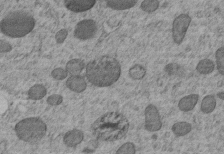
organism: C. elegans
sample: C. elegans embryo early stage